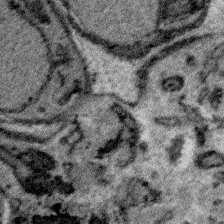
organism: Plasmodium falciparum